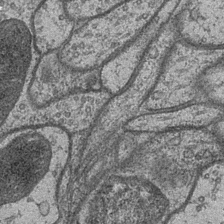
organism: Drosophila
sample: Optic medulla